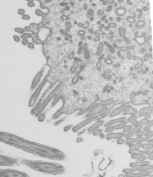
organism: Mouse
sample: Mouse epididymis efferent ductule cilia